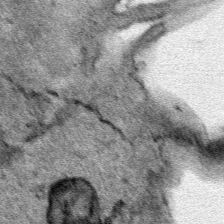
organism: Human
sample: Mitochondria in HCT116 cells